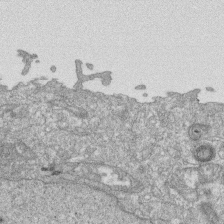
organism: Human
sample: HeLa cell HIV synapse